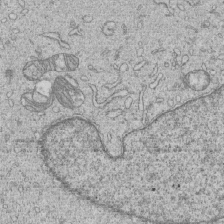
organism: Human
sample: MDA-MB-231 cells